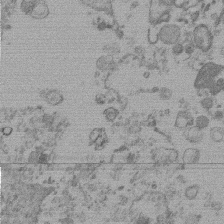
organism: Mouse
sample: Dividing mouse embryo 1 cell stage